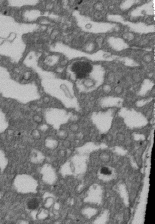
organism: Drosophila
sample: Nephrocyte